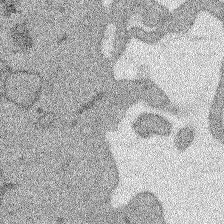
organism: Human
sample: HeLa cells